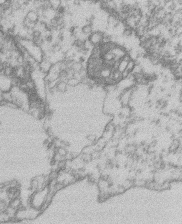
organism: Mouse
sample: T cell stromal cell synapse